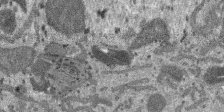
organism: Human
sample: Lung epithelial cells infected with SARS-CoV-2